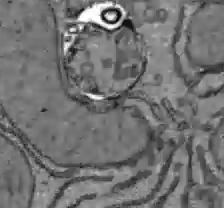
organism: C57BL Mouse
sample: Liver